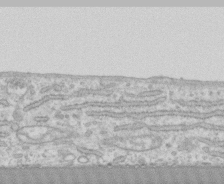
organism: Human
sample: CRL-1474